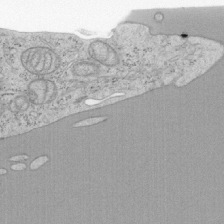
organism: Human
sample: HeLa cells